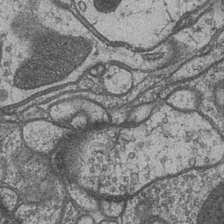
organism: Drosophila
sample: Optic medulla